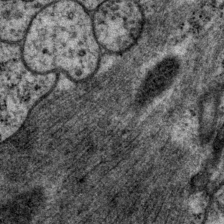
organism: P. pacificus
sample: Pharynx